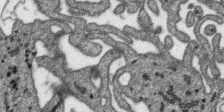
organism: Human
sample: Lung epithelial cells infected with SARS-CoV-2